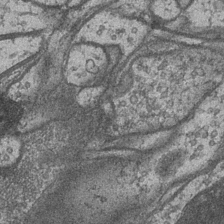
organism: Drosophila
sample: Optic medulla